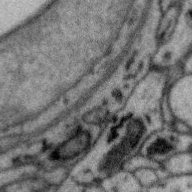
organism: Zebra finch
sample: Brain